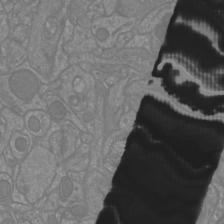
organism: Mouse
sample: Cortical neurons